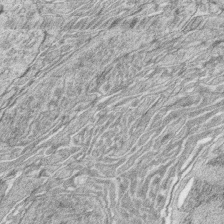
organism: Zebrafish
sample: synaptic ribbons in rod cells and cone cells